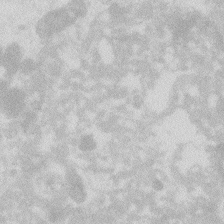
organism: Zebrafish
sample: Macrophage